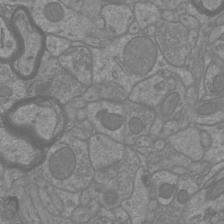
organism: Mouse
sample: Cortical neurons